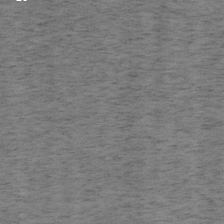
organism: Mouse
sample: OT-I killer T cells with ID8 ovarian cancer cells